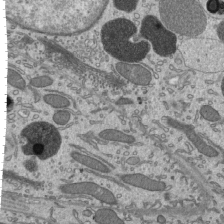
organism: Mouse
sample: Mouse epididymis efferent ductule cilia